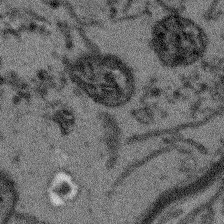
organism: Arabidopsis thaliana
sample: Root tip